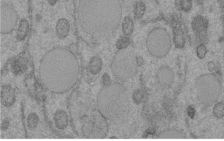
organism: C. elegans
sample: C. elegans embryo early stage